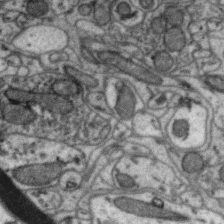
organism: Zebra finch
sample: Brain